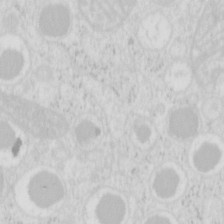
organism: Mouse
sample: Pancreas